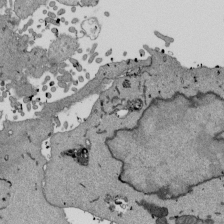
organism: Mouse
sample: ED-1 cell nuclei; centrioles